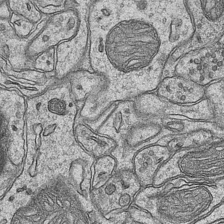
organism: Mouse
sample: CA1 Hippocampus